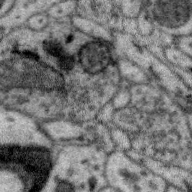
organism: Zebra finch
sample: Brain